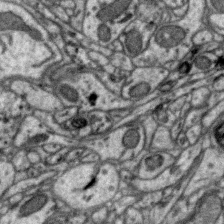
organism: Zebra finch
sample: Brain